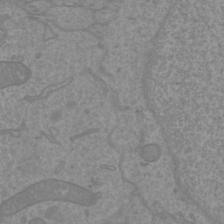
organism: Mouse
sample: Cortical neurons